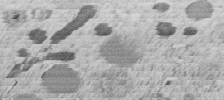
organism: C. elegans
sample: C. elegans embryo early stage